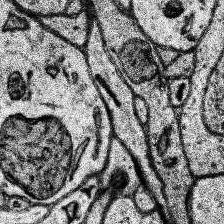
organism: Human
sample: Temporal Lobe